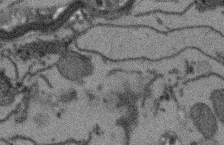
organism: Arabidopsis thaliana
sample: Root tip